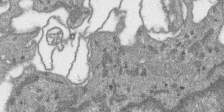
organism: Human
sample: Lung epithelial cells infected with SARS-CoV-2